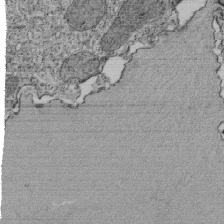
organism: Tetrahymena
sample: Cilia in tetrahymena